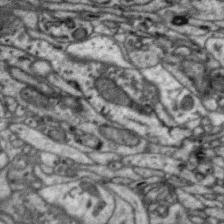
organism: Zebra finch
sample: Brain